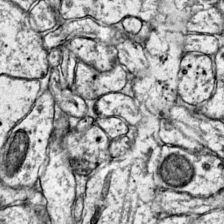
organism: Mouse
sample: Primary visual cortex